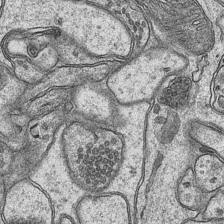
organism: Mouse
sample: CA1 Hippocampus